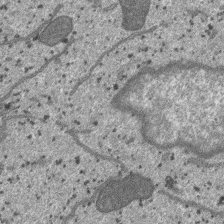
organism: Human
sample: Lung epithelial cells infected with SARS-CoV-2